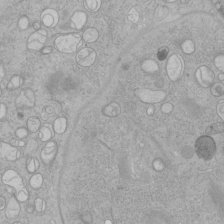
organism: Human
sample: Mitochondria in HCT116 cells